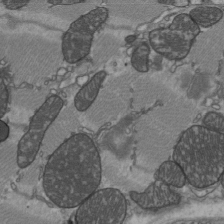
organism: C57BL Mouse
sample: Heart